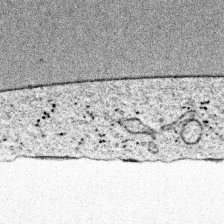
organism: Human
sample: HeLa cells